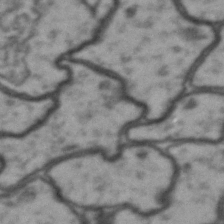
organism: Drosophila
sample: Brain